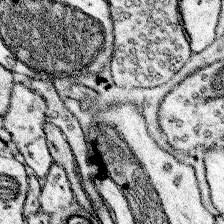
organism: Mouse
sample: Somatosensory cortex neuropil